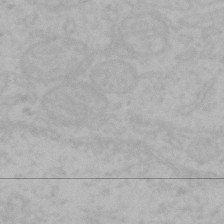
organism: Mouse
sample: Choroid plexus